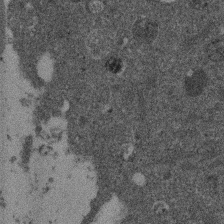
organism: Mouse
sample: Dividing mouse embryo 1 cell stage